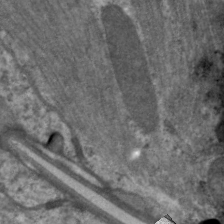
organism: C. elegans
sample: Pharynx